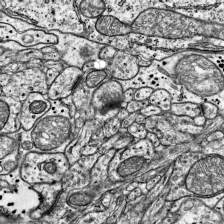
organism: Mouse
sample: Visual Cortex